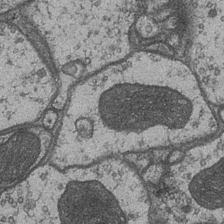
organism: Drosophila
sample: Optic medulla